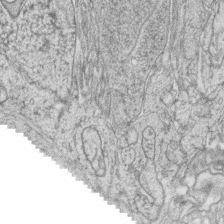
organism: Zebrafish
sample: synaptic ribbons in rod cells and cone cells